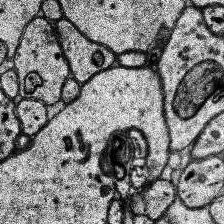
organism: Human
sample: Temporal Lobe